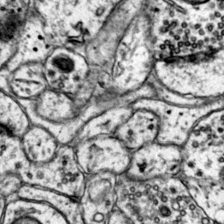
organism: Mouse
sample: Primary visual cortex